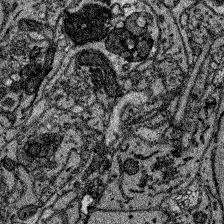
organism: Zebrafish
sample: Larval olfactory bulb